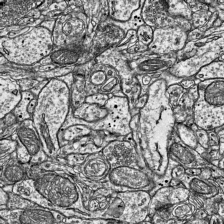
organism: Mouse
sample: Visual Cortex